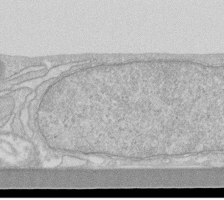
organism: Human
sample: Fibroblast cells